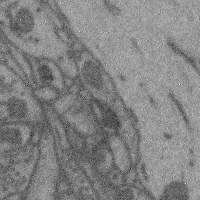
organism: Mouse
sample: Cerebral cortex